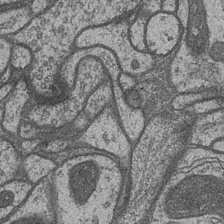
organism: Drosophila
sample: Optic medulla